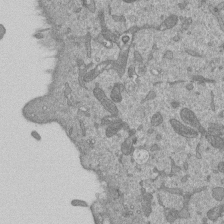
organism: Mouse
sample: ED-1 cell nuclei; centrioles